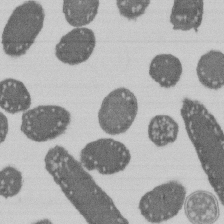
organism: E. coli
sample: Bacterial nucleoid